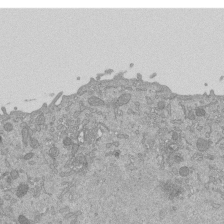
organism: Mouse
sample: ED-1 cell nuclei; centrioles